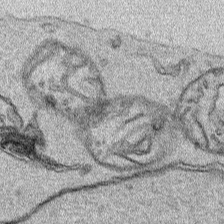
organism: Human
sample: Mitochondria in HCT116 cells